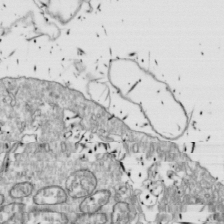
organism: Drosophila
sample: Cell division; meiosis; drosophila spermatocytes